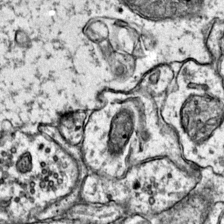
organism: Mouse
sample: Primary visual cortex